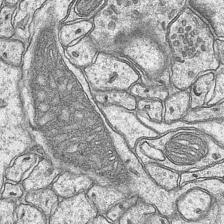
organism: Mouse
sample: CA1 Hippocampus